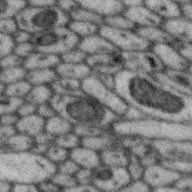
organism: Zebra finch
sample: Brain